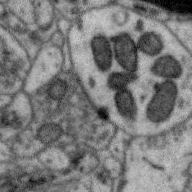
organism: Zebra finch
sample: Brain